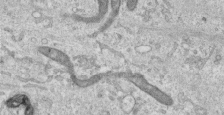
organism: Human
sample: Centriole in RPE cells